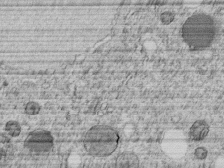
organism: C. elegans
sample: C. elegans embryo early stage